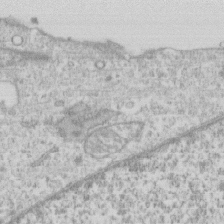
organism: Human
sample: CRL-1474